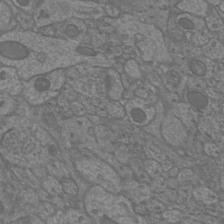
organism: Mouse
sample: Cortical neurons